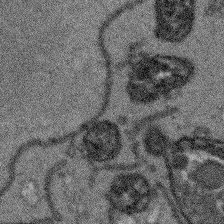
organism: Arabidopsis thaliana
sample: Root tip